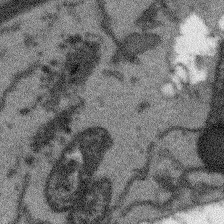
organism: Arabidopsis thaliana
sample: Root tip